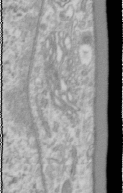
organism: Human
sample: Cilia; basal body in RPE cells